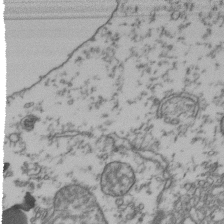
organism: Human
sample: Activated Jurkat CD4+ T cells